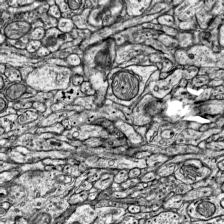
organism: Mouse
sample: Visual Cortex